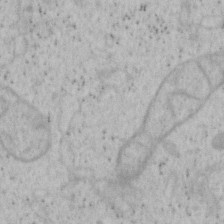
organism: Human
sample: HeLa cells